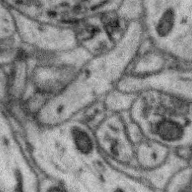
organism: Zebra finch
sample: Brain